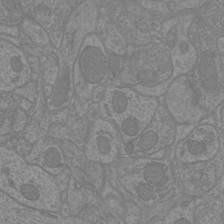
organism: Mouse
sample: Cortical neurons